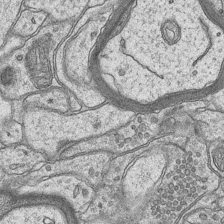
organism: Mouse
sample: CA1 Hippocampus